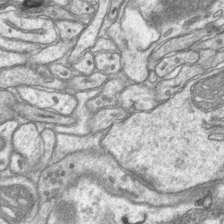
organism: Mouse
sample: CA1 Hippocampus